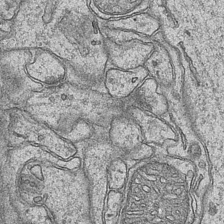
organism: Mouse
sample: CA1 Hippocampus